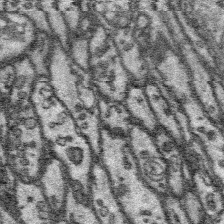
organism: Platynereis dumerilii